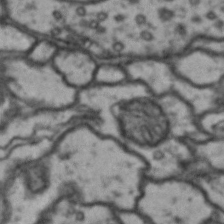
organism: Drosophila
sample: Brain